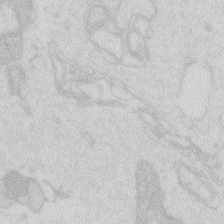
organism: Zebrafish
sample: Macrophage